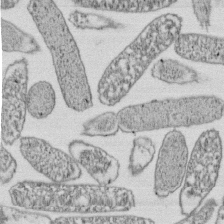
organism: E. coli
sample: Bacterial nucleoid